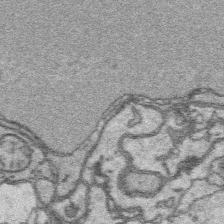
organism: Platynereis dumerilii